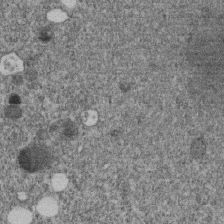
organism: C. elegans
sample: C. elegans embryo early stage